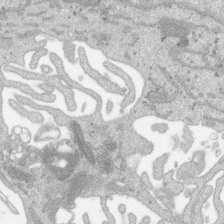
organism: Human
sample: Lung epithelial cells infected with SARS-CoV-2